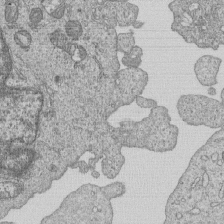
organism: Human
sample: MDA-MB-231 cells